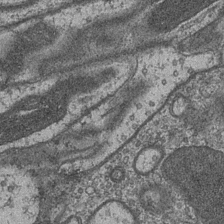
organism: Drosophila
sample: Optic medulla